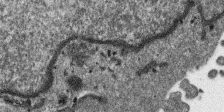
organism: Human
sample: Lung epithelial cells infected with SARS-CoV-2